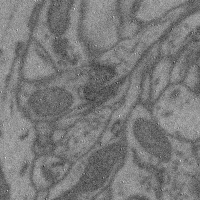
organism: Mouse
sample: Cerebral cortex